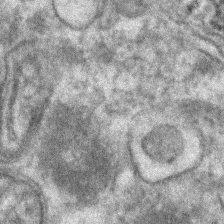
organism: Human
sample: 1205lu cells